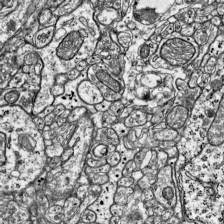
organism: Mouse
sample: Visual Cortex